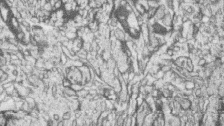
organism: Zebrafish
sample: synaptic ribbons in rod cells and cone cells